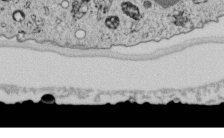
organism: C. elegans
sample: C. elegans embryo early stage